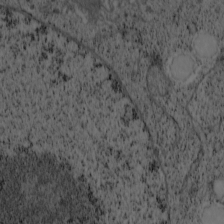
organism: African green monkey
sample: COS-7 cells